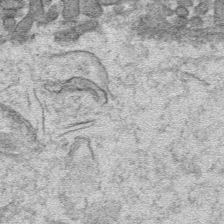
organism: Mouse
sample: Mouse hepatocytes